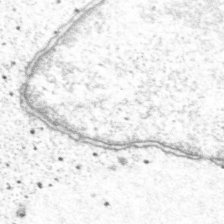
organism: Human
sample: HeLa cells